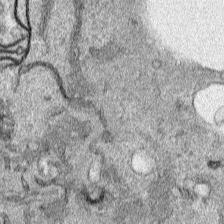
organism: Human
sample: Mitochondria in HCT116 cells